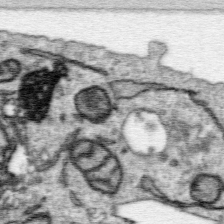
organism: Human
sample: HeLa cells